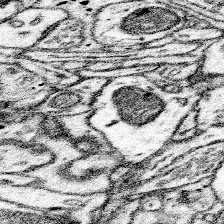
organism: Mouse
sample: Somatosensory cortex neuropil